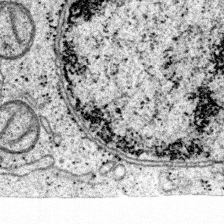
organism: Human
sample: HeLa cells